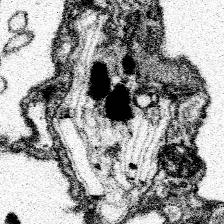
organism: Spongilla lacustris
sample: Neuroid cell